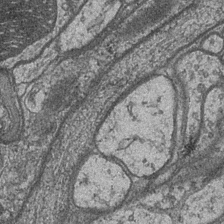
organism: Drosophila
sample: Optic medulla